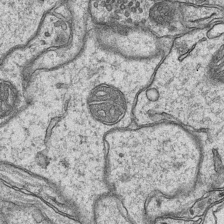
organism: Mouse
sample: CA1 Hippocampus